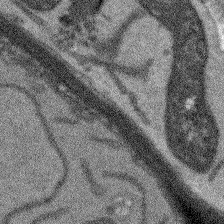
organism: Arabidopsis thaliana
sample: Root tip